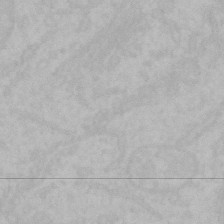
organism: Mouse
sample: Choroid plexus